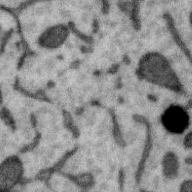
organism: Zebra finch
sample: Brain